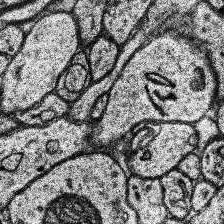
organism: Human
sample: Temporal Lobe